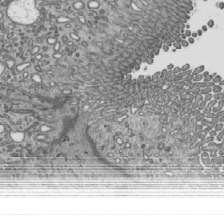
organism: Mouse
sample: Mouse epididymis efferent ductule cilia